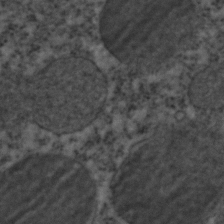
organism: C. elegans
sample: C. elegans embryo